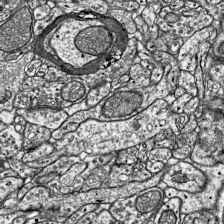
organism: Mouse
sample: Visual Cortex